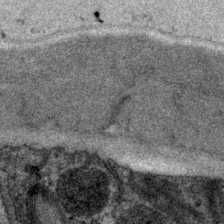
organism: P. pacificus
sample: Pharynx